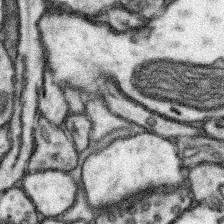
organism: Mouse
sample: Somatosensory cortex neuropil